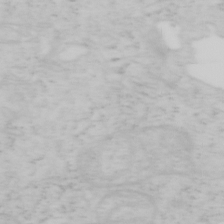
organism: Mouse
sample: OT-I killer T cells with ID8 ovarian cancer cells